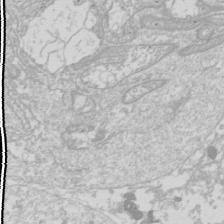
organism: Drosophila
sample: Cell division; meiosis; drosophila spermatocytes